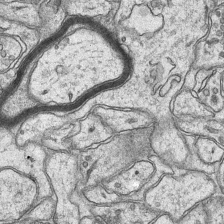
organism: Mouse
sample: CA1 Hippocampus